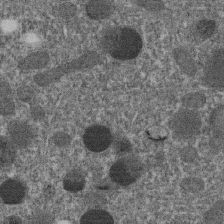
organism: C. elegans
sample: C. elegans embryo early stage